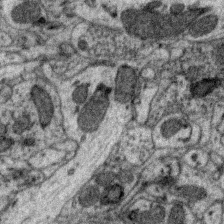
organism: Zebra finch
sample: Brain